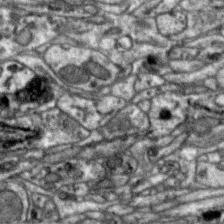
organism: Zebra finch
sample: Brain